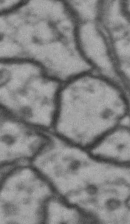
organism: Drosophila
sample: Brain